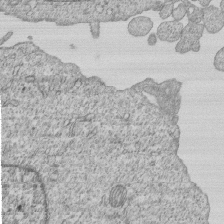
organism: Human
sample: MDA-MB-231 cells